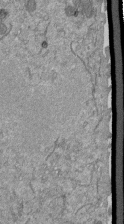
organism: Mouse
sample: ED-1 cell nuclei; centrioles